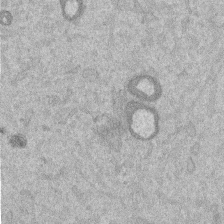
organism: Mouse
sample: Dividing mouse embryo 1 cell stage